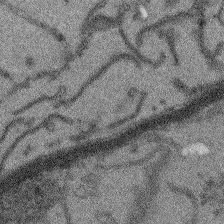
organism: Arabidopsis thaliana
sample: Root tip